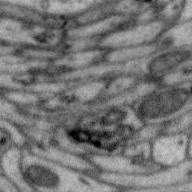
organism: Zebra finch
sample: Brain